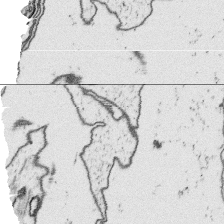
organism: Platynereis dumerilii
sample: Parapodia